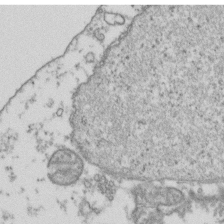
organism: Human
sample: Activated Jurkat CD4+ T cells